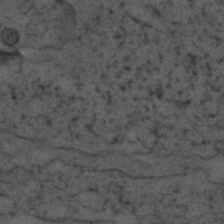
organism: Zebrafish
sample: Zebrafish embryo